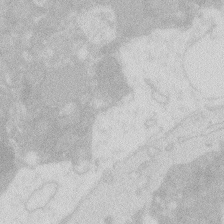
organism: Zebrafish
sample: Macrophage